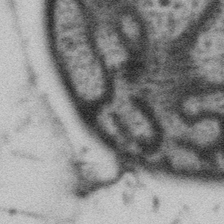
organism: Gemmata obscuriglobus